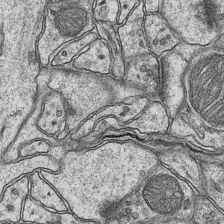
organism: Mouse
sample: CA1 Hippocampus